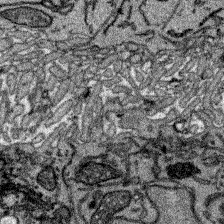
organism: Zebrafish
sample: Larval olfactory bulb